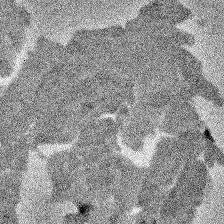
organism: Human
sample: HeLa cells